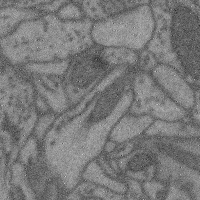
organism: Mouse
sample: Cerebral cortex